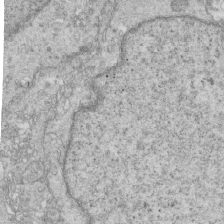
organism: Mouse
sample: Multiciliated cells